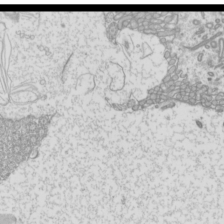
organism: Mouse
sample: Cilia; mouse epididymis